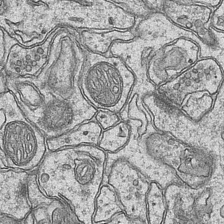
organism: Mouse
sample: CA1 Hippocampus